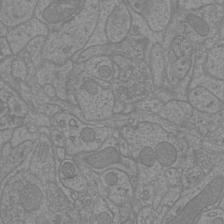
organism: Mouse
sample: Cortical neurons